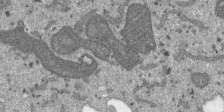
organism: Human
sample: Lung epithelial cells infected with SARS-CoV-2